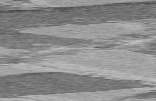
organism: C57BL Mouse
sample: Heart